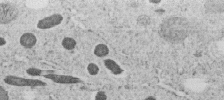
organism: C. elegans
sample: C. elegans embryo early stage